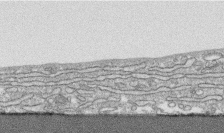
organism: Human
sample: CRL-1474